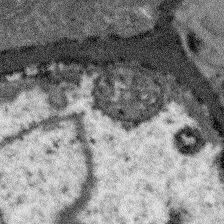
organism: Arabidopsis thaliana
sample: Root tip